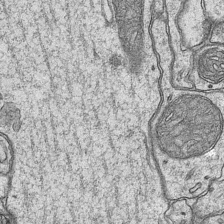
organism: Mouse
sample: CA1 Hippocampus